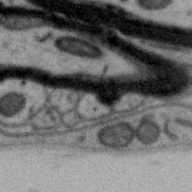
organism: Zebra finch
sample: Brain